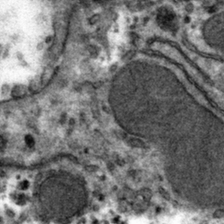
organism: Mouse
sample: Mouse hepatocytes